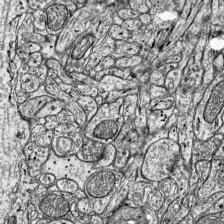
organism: Mouse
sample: Visual Cortex